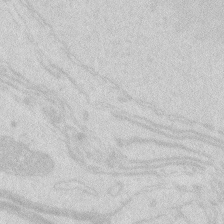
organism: Zebrafish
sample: Macrophage